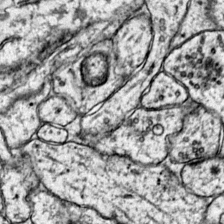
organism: Mouse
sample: Primary visual cortex